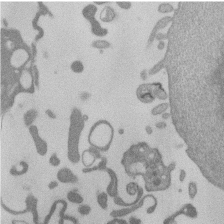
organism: Mouse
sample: Dividing mouse embryo 1 cell stage